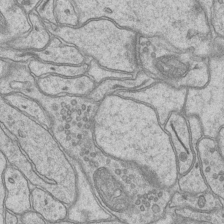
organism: Mouse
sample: CA1 Hippocampus